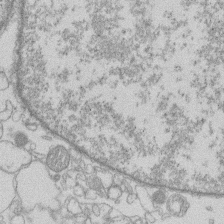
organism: Human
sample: Macrophage cells